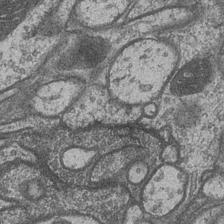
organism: Drosophila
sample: Optic medulla